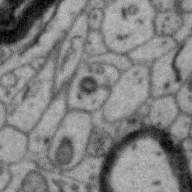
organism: Zebra finch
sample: Brain